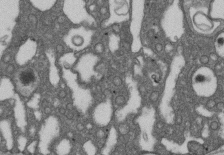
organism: Drosophila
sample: Nephrocyte